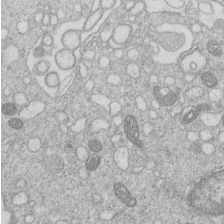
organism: Human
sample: Macrophage cells